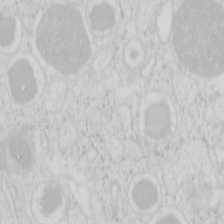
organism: Mouse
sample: Pancreas